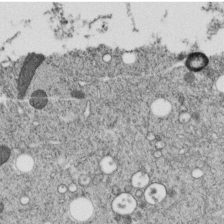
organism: C. elegans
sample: C. elegans embryo early stage